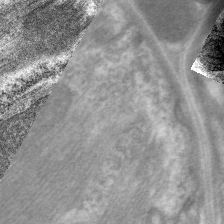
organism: C. elegans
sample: Pharynx